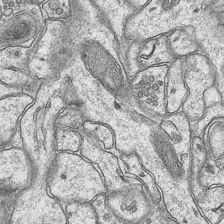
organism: Mouse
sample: CA1 Hippocampus